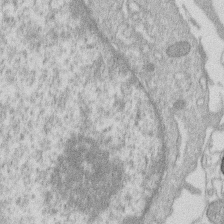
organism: Human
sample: Macrophage cells